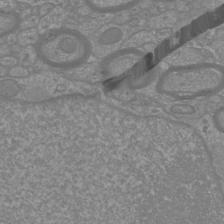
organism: Mouse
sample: Cortical neurons